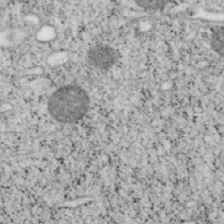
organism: Mouse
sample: OT-I killer T cells with ID8 ovarian cancer cells